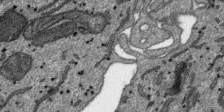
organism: Human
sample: Lung epithelial cells, uninfected (mock) control